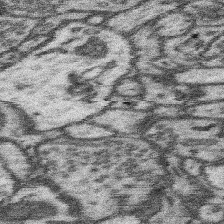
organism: Mouse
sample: Somatosensory cortex neuropil